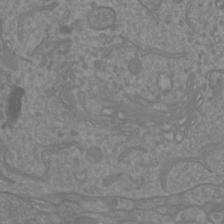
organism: Mouse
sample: Cortical neurons